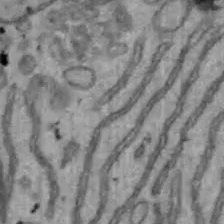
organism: Mouse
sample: Liver